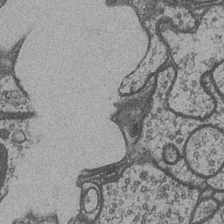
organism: Drosophila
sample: Optic medulla